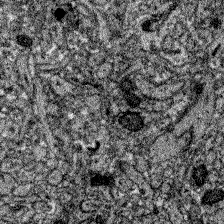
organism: Zebrafish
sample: Larval olfactory bulb